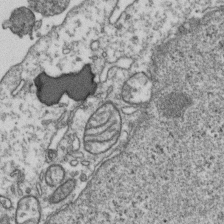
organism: Human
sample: Activated Jurkat CD4+ T cells